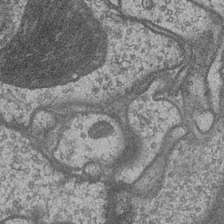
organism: Drosophila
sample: Optic medulla